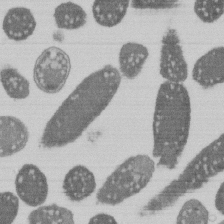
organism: E. coli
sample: Bacterial nucleoid